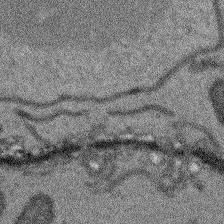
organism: Arabidopsis thaliana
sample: Root tip